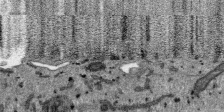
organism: Human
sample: Lung epithelial cells, uninfected (mock) control